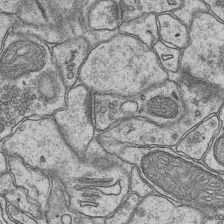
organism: Mouse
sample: CA1 Hippocampus